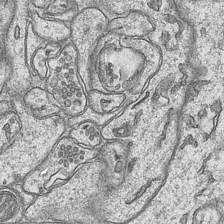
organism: Mouse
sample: CA1 Hippocampus